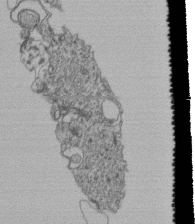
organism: Human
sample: Retinal organoid Rod and Cone cells